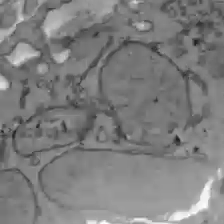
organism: C57BL Mouse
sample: Liver